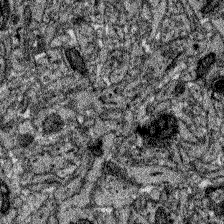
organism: Zebrafish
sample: Larval olfactory bulb